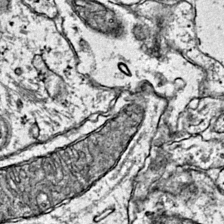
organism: Mouse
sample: Primary visual cortex